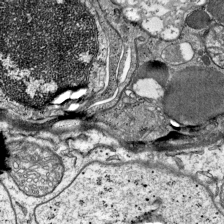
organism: Mouse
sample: Visual Cortex